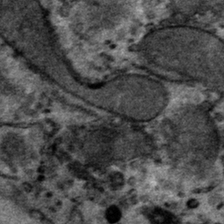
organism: Mouse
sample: Mouse hepatocytes